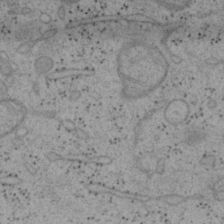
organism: Human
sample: HeLa cells